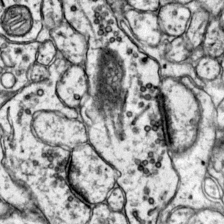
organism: Mouse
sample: Primary visual cortex